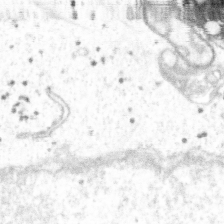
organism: Human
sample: HeLa cells